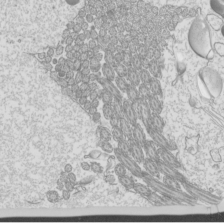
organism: Mouse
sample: Cilia; mouse epididymis